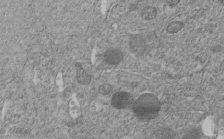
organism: C. elegans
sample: C. elegans embryo early stage